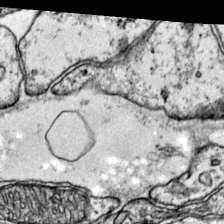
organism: Mouse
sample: Primary visual cortex